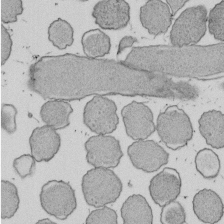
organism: E. coli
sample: Bacterial nucleoid